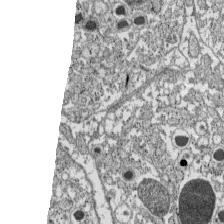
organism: C57BL Mouse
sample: Pancreatic islet